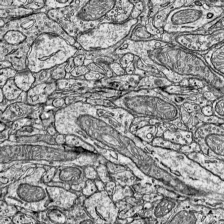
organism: Mouse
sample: Visual Cortex